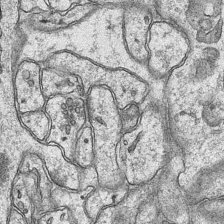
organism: Mouse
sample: CA1 Hippocampus